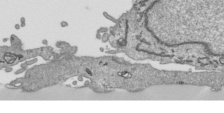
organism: Human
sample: Mitochondria in HCT116 cells